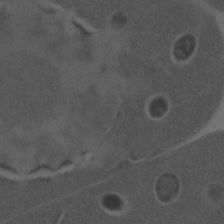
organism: C. elegans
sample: C. elegans embryo